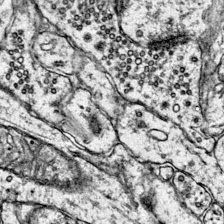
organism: Mouse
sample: Primary visual cortex